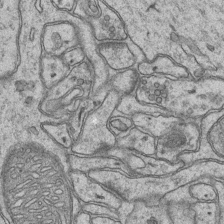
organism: Mouse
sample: CA1 Hippocampus